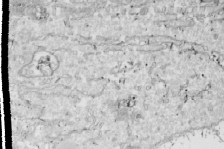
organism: Drosophila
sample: Cell division; meiosis; drosophila spermatocytes